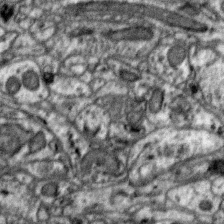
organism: Zebra finch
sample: Brain